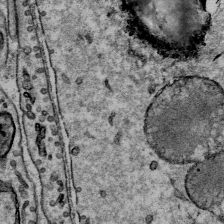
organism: Mouse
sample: Mouse Salivary gland